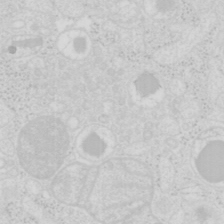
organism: Mouse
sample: Pancreas